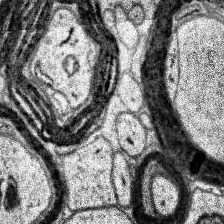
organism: Human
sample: Temporal Lobe